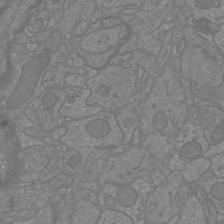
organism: Mouse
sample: Cortical neurons